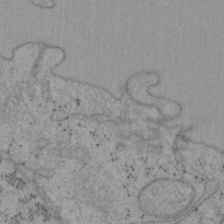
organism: Human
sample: HeLa cells